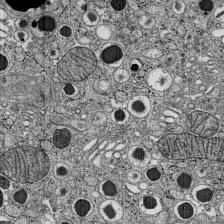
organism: C57BL Mouse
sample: Pancreatic islet